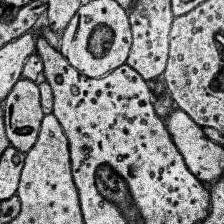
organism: Human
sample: Temporal Lobe